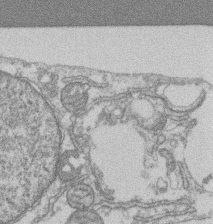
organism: Mouse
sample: T cell stromal cell synapse